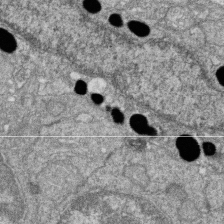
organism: Zebrafish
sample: Cilia; retinal pigment epithelium